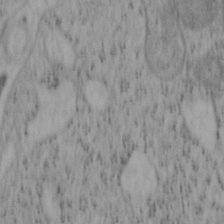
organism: Mouse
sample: OT-I killer T cells with ID8 ovarian cancer cells